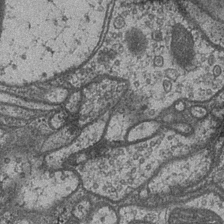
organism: Drosophila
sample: Optic medulla